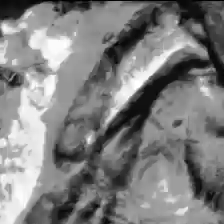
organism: C57BL Mouse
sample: Liver